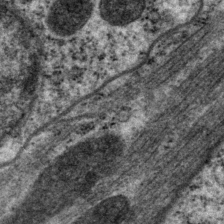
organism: P. pacificus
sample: Pharynx